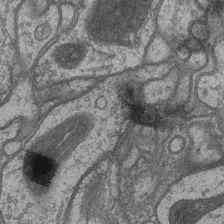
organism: Drosophila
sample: Optic medulla